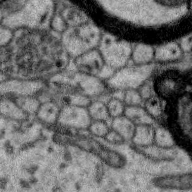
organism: Zebra finch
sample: Brain